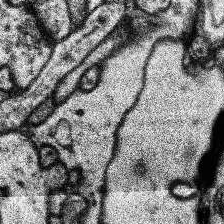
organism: Human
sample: Temporal Lobe